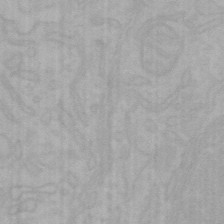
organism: Mouse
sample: Choroid plexus